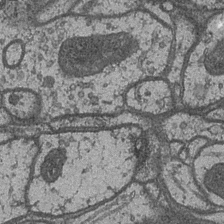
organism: Drosophila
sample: Optic medulla